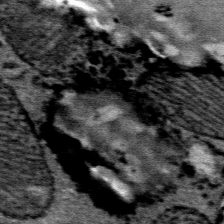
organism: Mouse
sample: Mouse Salivary gland